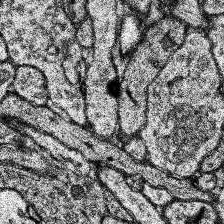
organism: Human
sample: Temporal Lobe